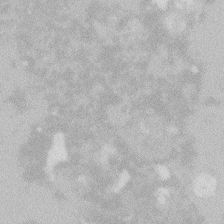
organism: Zebrafish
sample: Macrophage